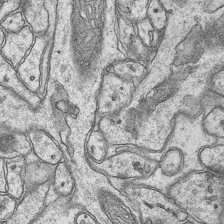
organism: Mouse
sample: CA1 Hippocampus